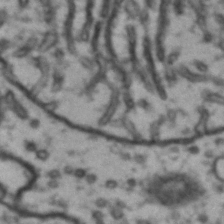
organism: Drosophila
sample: Brain